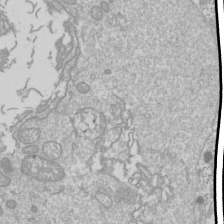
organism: Drosophila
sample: Cell division; meiosis; drosophila spermatocytes